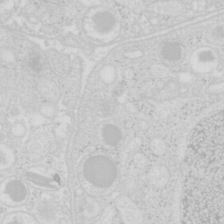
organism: Mouse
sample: Pancreas